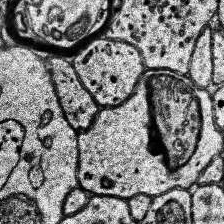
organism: Human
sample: Temporal Lobe